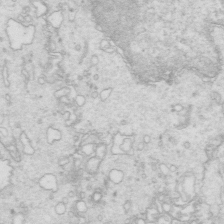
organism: Mouse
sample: Multiciliated cells